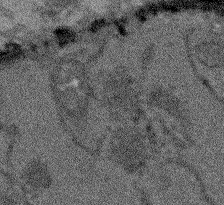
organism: Arabidopsis thaliana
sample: Root tip